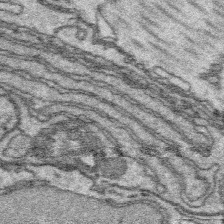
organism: Platynereis dumerilii